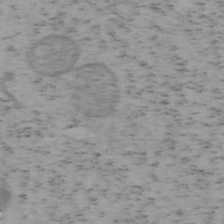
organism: Mouse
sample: OT-I killer T cells with ID8 ovarian cancer cells